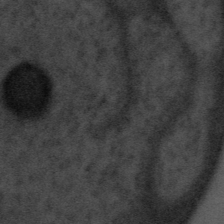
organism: Tuwongella immobilis